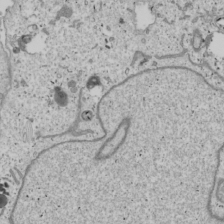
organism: Human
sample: Mitochondria in U2OS cells